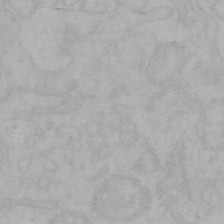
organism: Mouse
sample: Choroid plexus